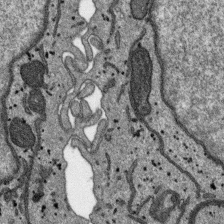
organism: Human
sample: Lung epithelial cells, uninfected (mock) control